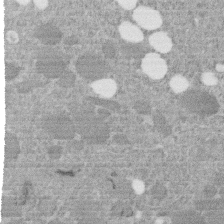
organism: C. elegans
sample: C. elegans embryo early stage